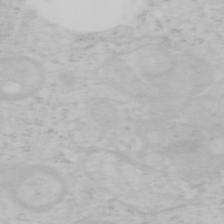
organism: Mouse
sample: OT-I killer T cells with ID8 ovarian cancer cells